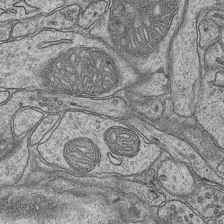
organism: Mouse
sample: CA1 Hippocampus